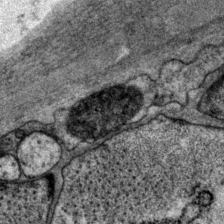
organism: P. pacificus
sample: Pharynx